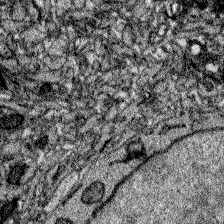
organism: Zebrafish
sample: Larval olfactory bulb